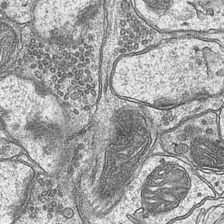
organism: Mouse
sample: CA1 Hippocampus